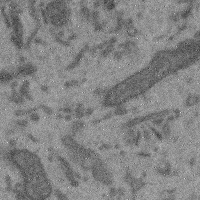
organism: Mouse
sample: Cerebral cortex